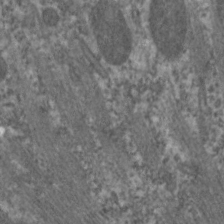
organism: C. elegans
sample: Pharynx